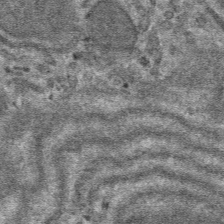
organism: Mouse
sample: Mouse hepatocytes